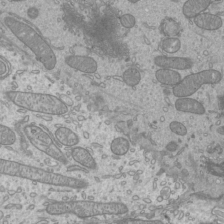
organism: Mouse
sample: Cilia; mouse epididymis